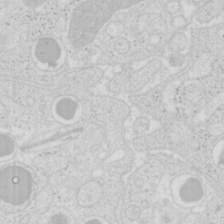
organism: Mouse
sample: Pancreas